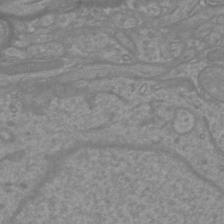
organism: Mouse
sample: Cortical neurons